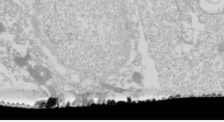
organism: Drosophila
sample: Cell division; meiosis; drosophila spermatocytes